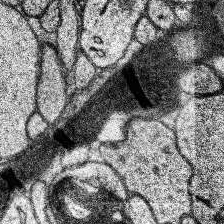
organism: Human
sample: Temporal Lobe